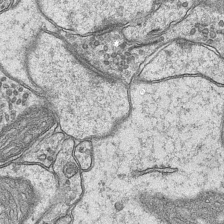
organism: Mouse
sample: CA1 Hippocampus